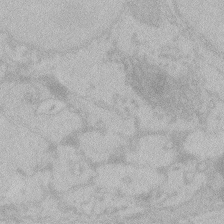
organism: Zebrafish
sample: Macrophage infected with Toxoplasma gondii